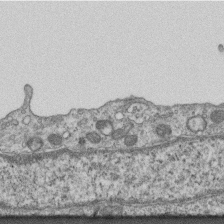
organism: Mouse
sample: Centriole in ependymal cells